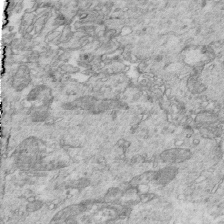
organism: Mouse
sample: Multiciliated cells